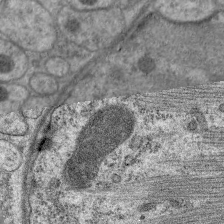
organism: C. elegans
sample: Pharynx